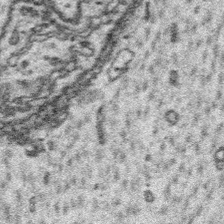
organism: Platynereis dumerilii